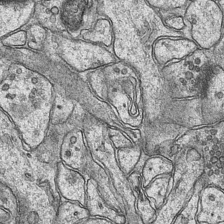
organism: Mouse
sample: CA1 Hippocampus